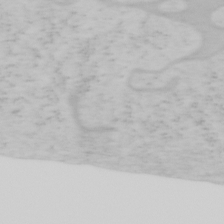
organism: Mouse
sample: OT-I killer T cells with ID8 ovarian cancer cells